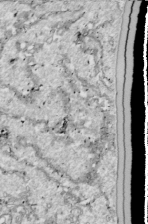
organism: Drosophila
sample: Cell division; meiosis; drosophila spermatocytes